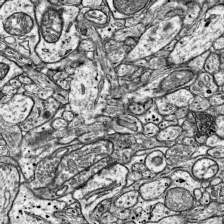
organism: Mouse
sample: Visual Cortex